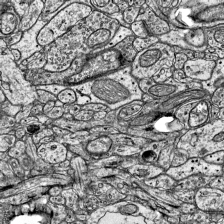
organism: Mouse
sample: Visual Cortex